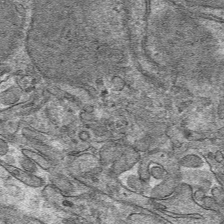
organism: Mouse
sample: Mouse hepatocytes